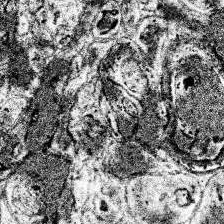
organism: Human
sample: Temporal Lobe